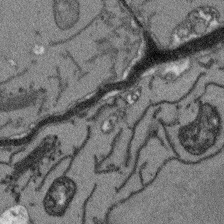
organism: Arabidopsis thaliana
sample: Root tip